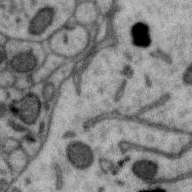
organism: Zebra finch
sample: Brain